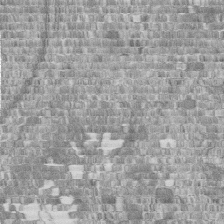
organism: Human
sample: Centriole in fibroblast cells